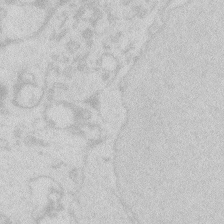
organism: Zebrafish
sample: Macrophage